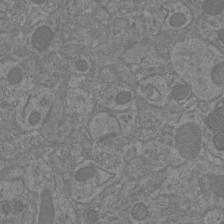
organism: Mouse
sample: Cortical neurons